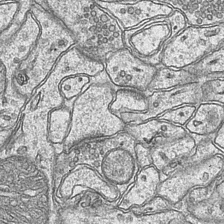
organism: Mouse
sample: CA1 Hippocampus